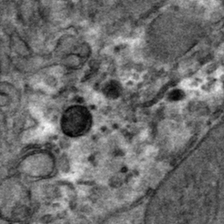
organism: Mouse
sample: Mouse hepatocytes